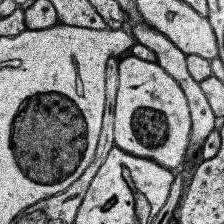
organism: Human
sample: Temporal Lobe